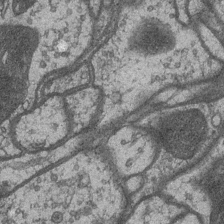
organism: Drosophila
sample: Optic medulla